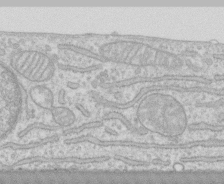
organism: Human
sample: CRL-1474